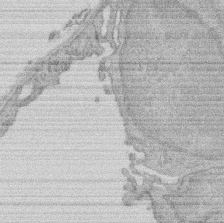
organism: Rat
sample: Salivary granule